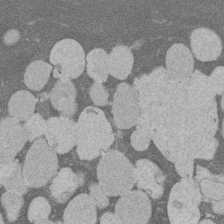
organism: Rat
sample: Salivary granule